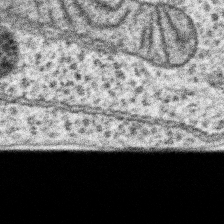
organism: Human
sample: HeLa cells